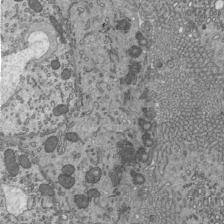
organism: Mouse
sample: Mouse epididymis efferent ductule cilia